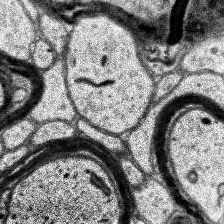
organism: Human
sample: Temporal Lobe